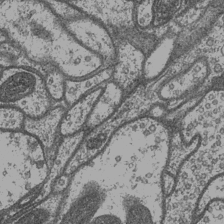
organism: Drosophila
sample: Optic medulla